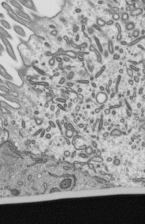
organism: Mouse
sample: Mouse epididymis efferent ductule cilia